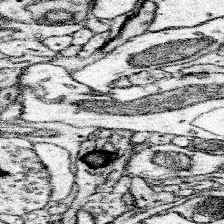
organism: Mouse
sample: Somatosensory cortex neuropil